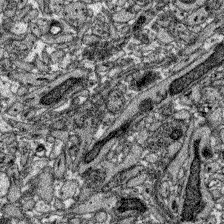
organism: Zebrafish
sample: Larval olfactory bulb